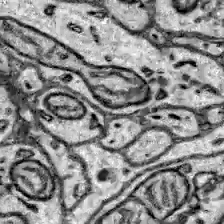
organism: Zebrafish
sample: Brain